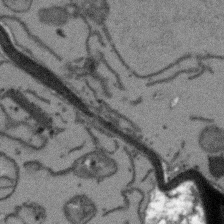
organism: Arabidopsis thaliana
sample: Root tip